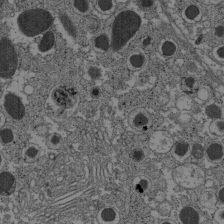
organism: C57BL Mouse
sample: Pancreatic islet